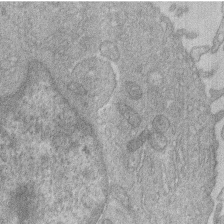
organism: Human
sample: Macrophage cells